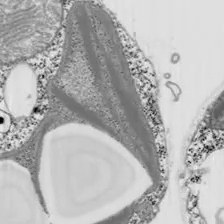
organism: Chlamydomonas reinhardtii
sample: Whole Cell